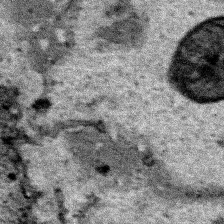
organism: Human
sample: Mitochondria in HCT116 cells